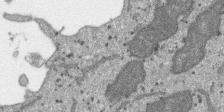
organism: Human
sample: Lung epithelial cells infected with SARS-CoV-2